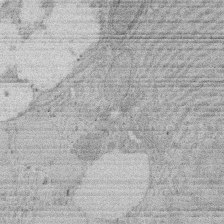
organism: Rat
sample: Salivary granule